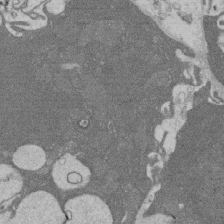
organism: Rat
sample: Salivary granule